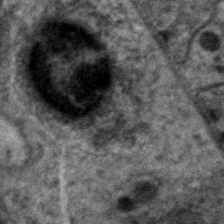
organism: C. elegans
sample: Pharynx